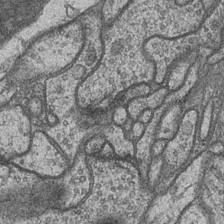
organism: Drosophila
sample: Optic medulla